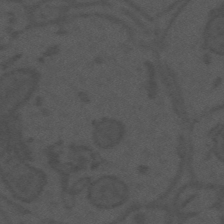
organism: Mouse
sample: Suprachiasmatic nucleus